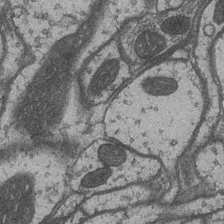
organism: Drosophila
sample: Optic medulla